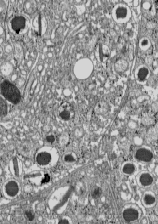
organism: C57BL Mouse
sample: Pancreatic islet